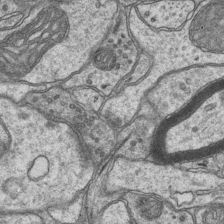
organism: Mouse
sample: CA1 Hippocampus